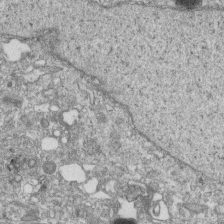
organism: Human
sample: HeLa cell HIV synapse